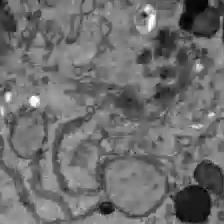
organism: C57BL Mouse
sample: Liver